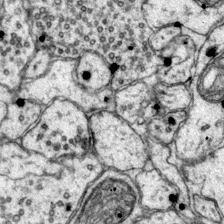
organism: Mouse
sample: Primary visual cortex